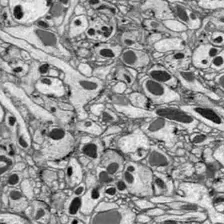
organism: Drosophila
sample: Optic lobe